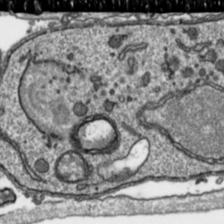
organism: Toxoplasma gondii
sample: Parasites in a vacuole inside a host cell